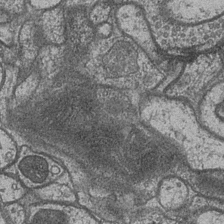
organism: Drosophila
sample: Optic medulla